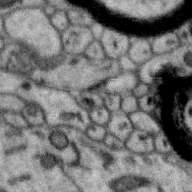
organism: Zebra finch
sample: Brain